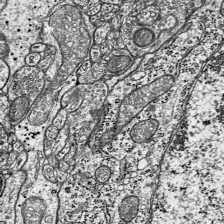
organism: Mouse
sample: Visual Cortex